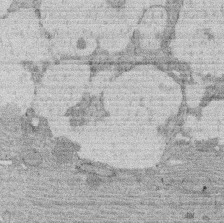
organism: Rat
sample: Salivary granule